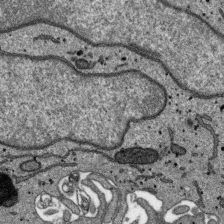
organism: Human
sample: Lung epithelial cells, uninfected (mock) control